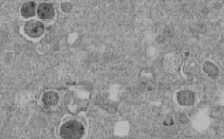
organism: C. elegans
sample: C. elegans embryo early stage